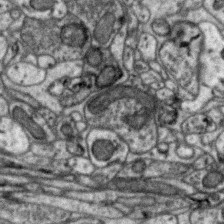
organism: Zebra finch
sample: Brain